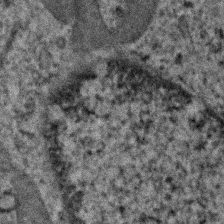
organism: Human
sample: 1205lu cells